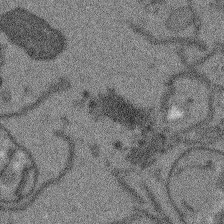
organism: Arabidopsis thaliana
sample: Root tip